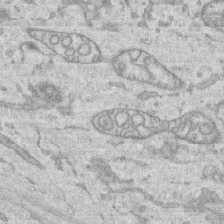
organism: Human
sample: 1205lu cells